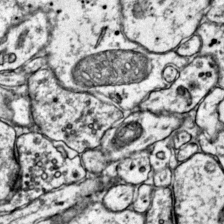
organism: Mouse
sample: Primary visual cortex